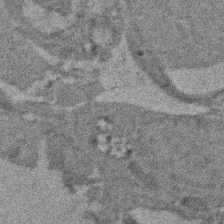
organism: Zebrafish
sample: Zebrafish embryo